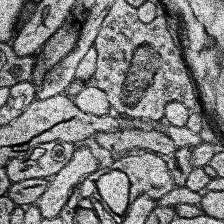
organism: Human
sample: Temporal Lobe